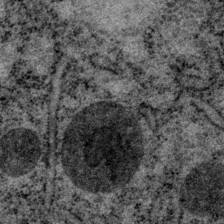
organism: P. pacificus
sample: Pharynx